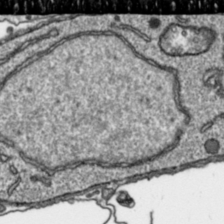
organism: Toxoplasma gondii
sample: Parasites in a vacuole inside a host cell